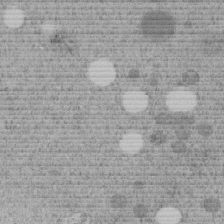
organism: C. elegans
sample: C. elegans embryo early stage